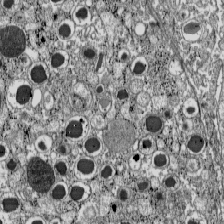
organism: C57BL Mouse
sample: Pancreatic islet